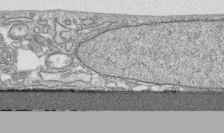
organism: Human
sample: CRL-1474